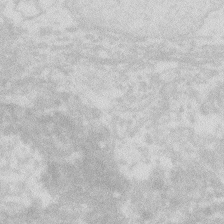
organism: Zebrafish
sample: Macrophage